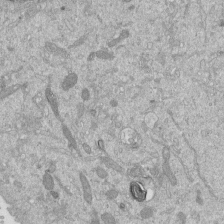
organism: Mouse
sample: ED-1 cell nuclei; centrioles